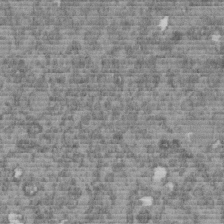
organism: C. elegans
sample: C. elegans embryo early stage